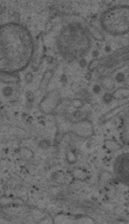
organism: Human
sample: HeLa cells